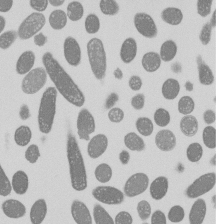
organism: E. coli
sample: Bacterial nucleoid